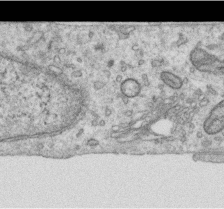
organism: Human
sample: Centriole in RPE cells